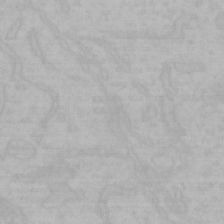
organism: Mouse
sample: Choroid plexus